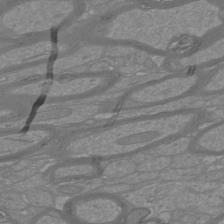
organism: Mouse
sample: Cortical neurons